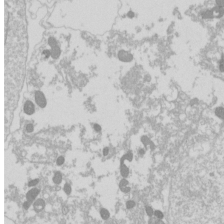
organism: Drosophila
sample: Cell division; meiosis; drosophila spermatocytes